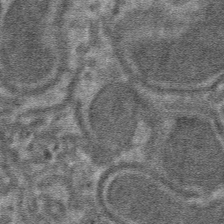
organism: Mouse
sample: Mouse hepatocytes